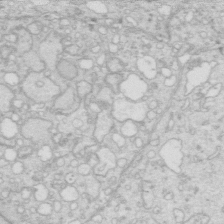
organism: Mouse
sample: Multiciliated cells